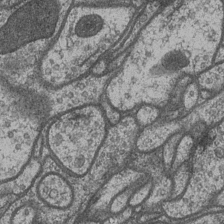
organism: Drosophila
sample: Optic medulla